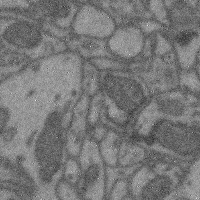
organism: Mouse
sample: Cerebral cortex